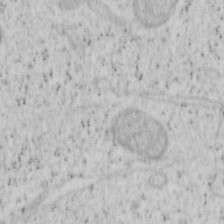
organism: Human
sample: HeLa cells